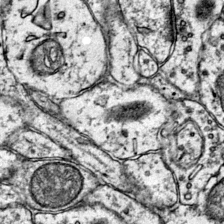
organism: Mouse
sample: Primary visual cortex